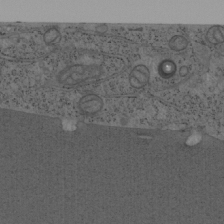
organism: Human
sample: HeLa cells